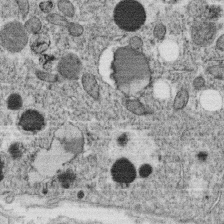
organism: C. elegans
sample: C. elegans oocyte; sperm cells